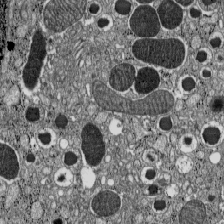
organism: C57BL Mouse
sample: Pancreatic islet